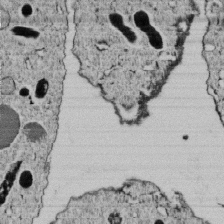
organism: C. elegans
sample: C. elegans embryo early stage